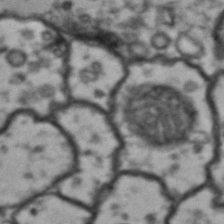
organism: Drosophila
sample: Brain